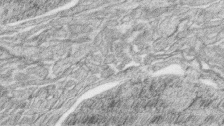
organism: Zebrafish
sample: synaptic ribbons in rod cells and cone cells